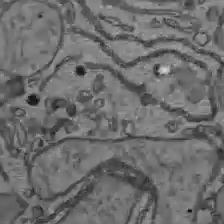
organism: C57BL Mouse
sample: Liver